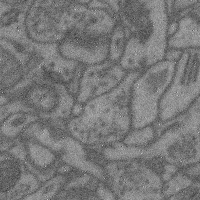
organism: Mouse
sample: Cerebral cortex